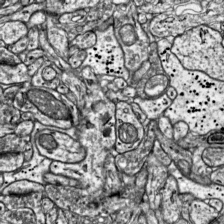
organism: Mouse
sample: Visual Cortex